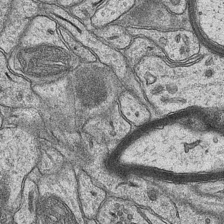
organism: Mouse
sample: CA1 Hippocampus